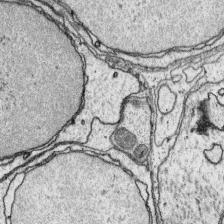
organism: Platynereis dumerilii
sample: Parapodia